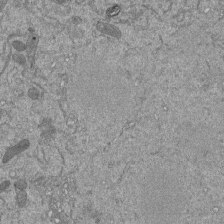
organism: Mouse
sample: ED-1 cell nuclei; centrioles